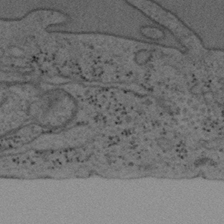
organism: Human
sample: HeLa cells